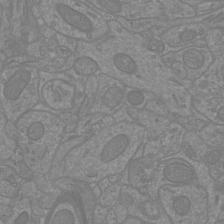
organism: Mouse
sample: Cortical neurons